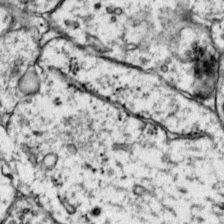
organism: Mouse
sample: Primary visual cortex